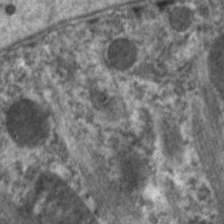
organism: C. elegans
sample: Pharynx